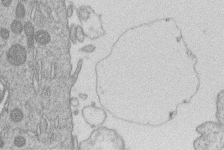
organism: Human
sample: Macrophage cells